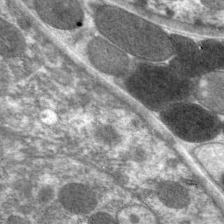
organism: C. elegans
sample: Pharynx